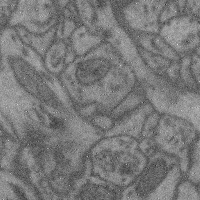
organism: Mouse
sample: Cerebral cortex